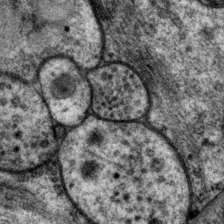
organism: P. pacificus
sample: Pharynx